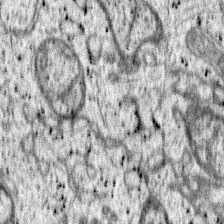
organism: Human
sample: HeLa cells